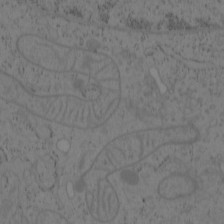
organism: Human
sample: HeLa cells